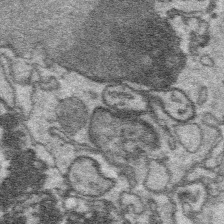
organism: Platynereis dumerilii